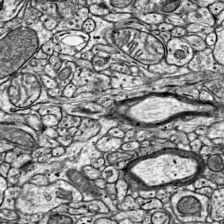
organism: Mouse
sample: Visual Cortex